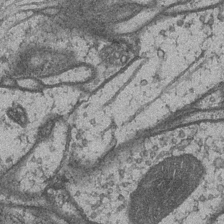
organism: Drosophila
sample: Optic medulla